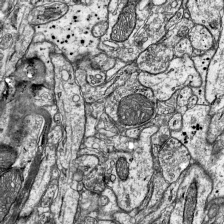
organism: Mouse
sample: Visual Cortex